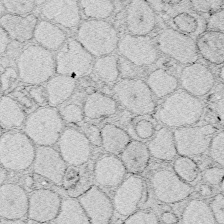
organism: Zebrafish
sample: Whole-Brain